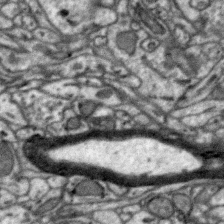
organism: Zebra finch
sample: Brain